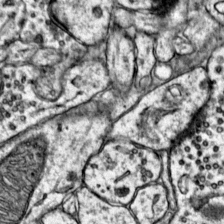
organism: Mouse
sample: Primary visual cortex